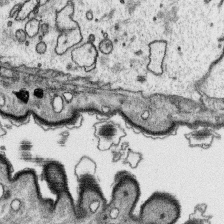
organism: Platynereis dumerilii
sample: Parapodia